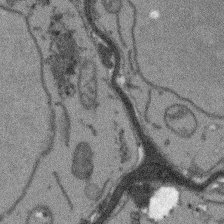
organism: Arabidopsis thaliana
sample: Root tip